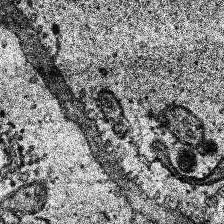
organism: Human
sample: Temporal Lobe